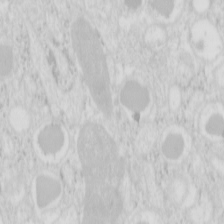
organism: Mouse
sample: Pancreas